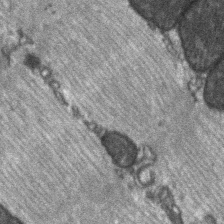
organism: C57BL Mouse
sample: Soleus